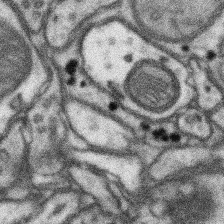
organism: Mouse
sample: Somatosensory cortex neuropil